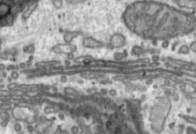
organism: Toxoplasma gondii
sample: Parasites in a vacuole inside a host cell